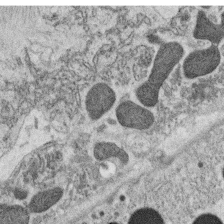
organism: C. elegans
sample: C. elegans oocyte; sperm cells